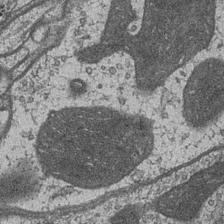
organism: Drosophila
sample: Optic medulla